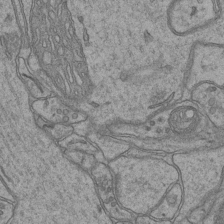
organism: Mouse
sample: CA1 Hippocampus